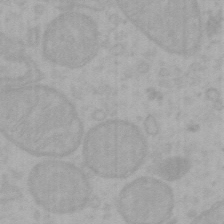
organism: Mouse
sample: Choroid plexus